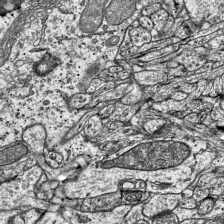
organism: Mouse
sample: Visual Cortex